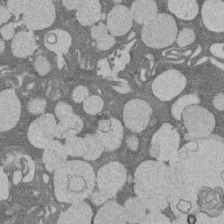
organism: Rat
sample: Salivary granule